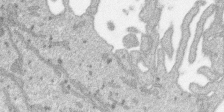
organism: Human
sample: Lung epithelial cells infected with SARS-CoV-2